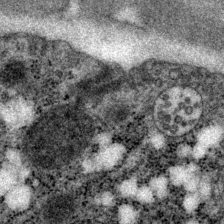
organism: P. pacificus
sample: Pharynx